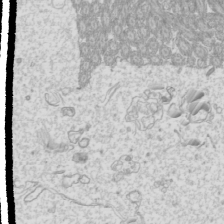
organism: Mouse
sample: Cilia; mouse epididymis